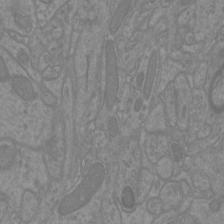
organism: Mouse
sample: Cortical neurons